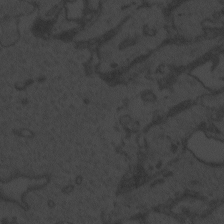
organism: Zebrafish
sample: Macrophage infected with Toxoplasma gondii